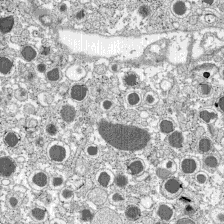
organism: C57BL Mouse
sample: Pancreatic islet